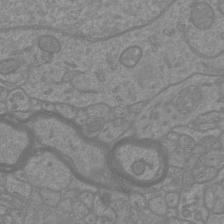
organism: Mouse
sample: Cortical neurons